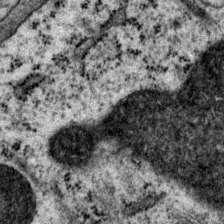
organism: P. pacificus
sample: Pharynx